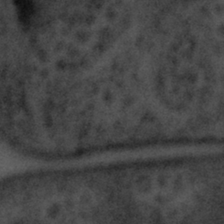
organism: Tuwongella immobilis